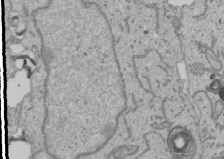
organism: Human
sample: Mitochondria in U2OS cells